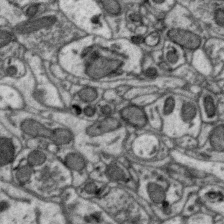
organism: Zebra finch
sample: Brain